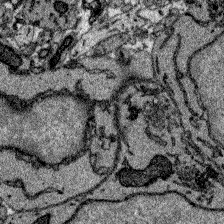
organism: Zebrafish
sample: Larval olfactory bulb